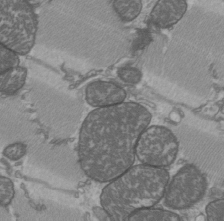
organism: C57BL Mouse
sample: Heart